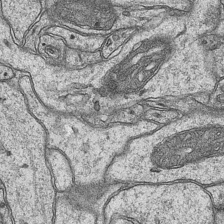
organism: Mouse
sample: CA1 Hippocampus